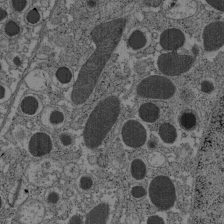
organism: C57BL Mouse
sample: Pancreatic islet